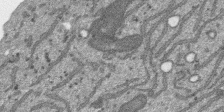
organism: Human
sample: Lung epithelial cells infected with SARS-CoV-2